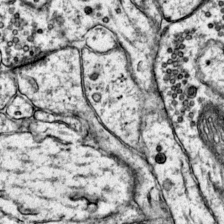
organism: Mouse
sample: Primary visual cortex